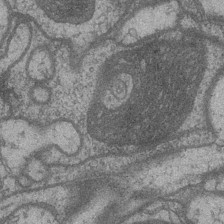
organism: Drosophila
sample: Optic medulla